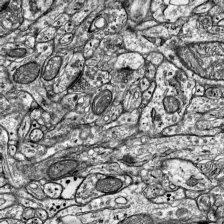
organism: Mouse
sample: Visual Cortex